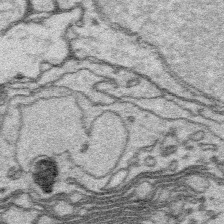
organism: Platynereis dumerilii